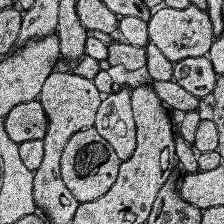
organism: Human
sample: Temporal Lobe